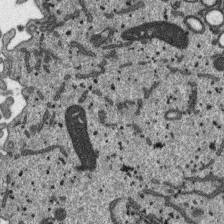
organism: Human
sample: Lung epithelial cells infected with SARS-CoV-2